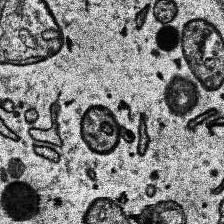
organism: Human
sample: Temporal Lobe